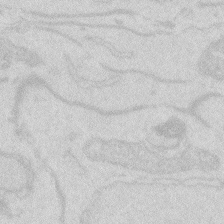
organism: Zebrafish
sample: Macrophage